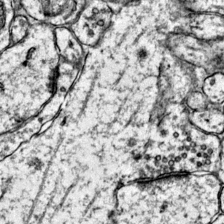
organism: Mouse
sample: Primary visual cortex